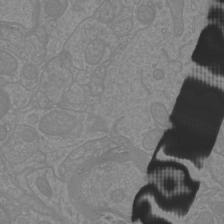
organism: Mouse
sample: Cortical neurons